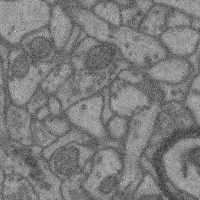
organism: Mouse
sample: Cerebral cortex